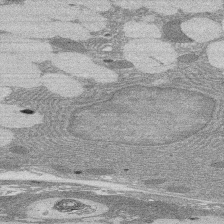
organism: Rat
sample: Salivary granule